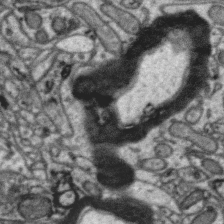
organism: Zebra finch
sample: Brain